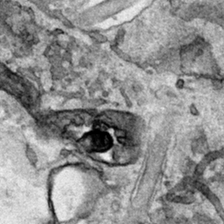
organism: Human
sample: Mitochondria in HCT116 cells